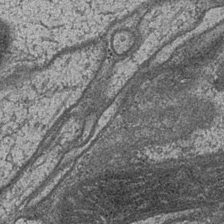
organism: Drosophila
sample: Optic medulla